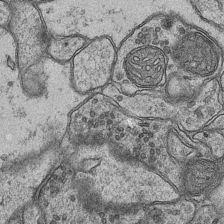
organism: Mouse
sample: CA1 Hippocampus